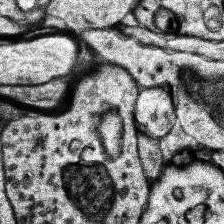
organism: Human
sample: Temporal Lobe